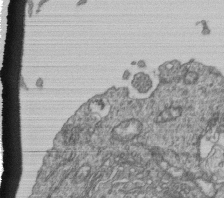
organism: Human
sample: Retinal organoid Rod and Cone cells